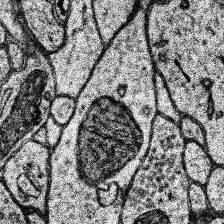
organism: Human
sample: Temporal Lobe